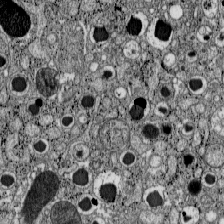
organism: C57BL Mouse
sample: Pancreatic islet